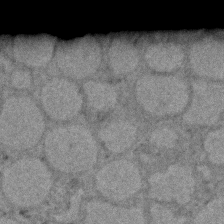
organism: Zebrafish